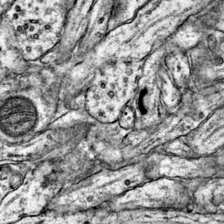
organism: Mouse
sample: Primary visual cortex